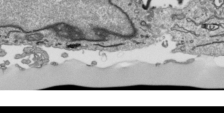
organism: Human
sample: Mitochondria in HCT116 cells